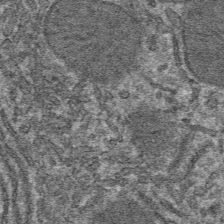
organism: Mouse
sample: Mouse hepatocytes